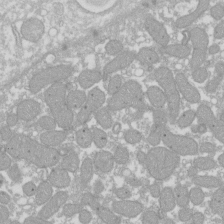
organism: Xenopus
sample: Cilia; centrioles in frog embryo cells